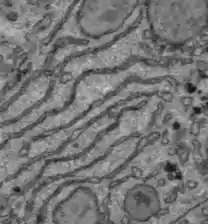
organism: C57BL Mouse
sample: Liver